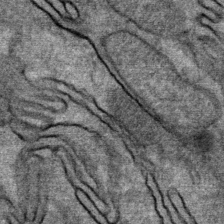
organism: Mouse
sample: Mouse Salivary gland